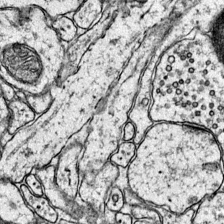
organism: Mouse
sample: Primary visual cortex